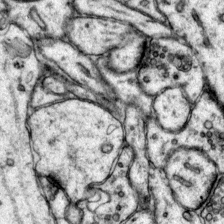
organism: Mouse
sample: Primary visual cortex